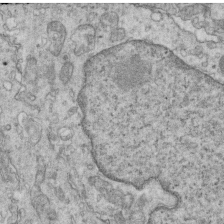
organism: Mouse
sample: Multiciliated cells